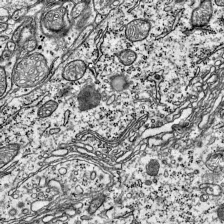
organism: Mouse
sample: Visual Cortex